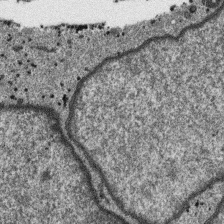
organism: Human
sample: Lung epithelial cells infected with SARS-CoV-2